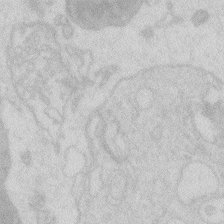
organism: Zebrafish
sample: Macrophage